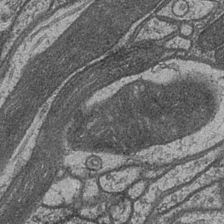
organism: Drosophila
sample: Optic medulla